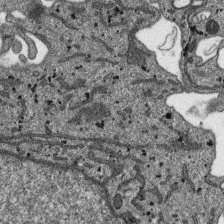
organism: Human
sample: Lung epithelial cells infected with SARS-CoV-2